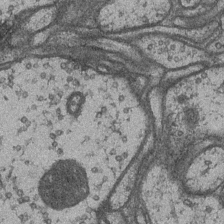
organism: Drosophila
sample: Optic medulla